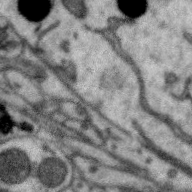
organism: Zebra finch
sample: Brain